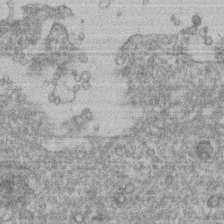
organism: Mouse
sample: T cell stromal cell synapse